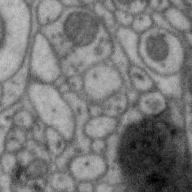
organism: Zebra finch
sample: Brain